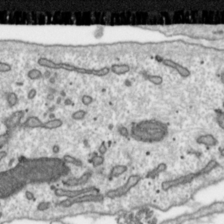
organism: Toxoplasma gondii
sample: Parasites in a vacuole inside a host cell